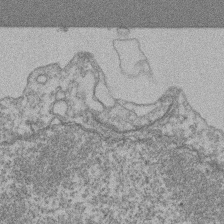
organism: Mouse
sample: T cell stromal cell synapse